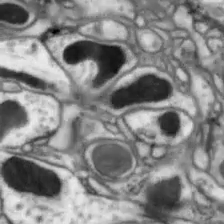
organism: Drosophila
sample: Optic lobe